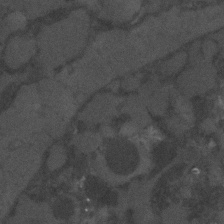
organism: C. elegans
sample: C. elegans embryo